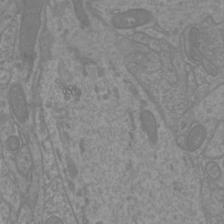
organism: Mouse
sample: Cortical neurons